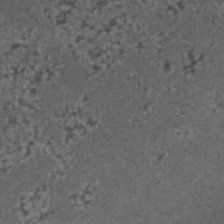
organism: C. elegans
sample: C. elegans embryo